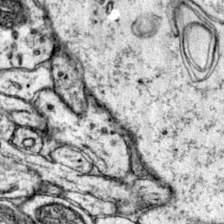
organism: Mouse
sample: Primary visual cortex